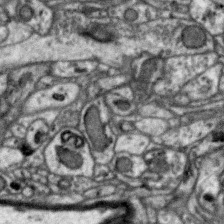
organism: Zebra finch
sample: Brain